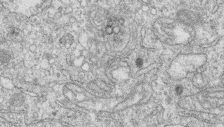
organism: Human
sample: HeLa cell HIV synapse